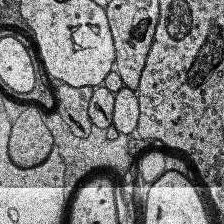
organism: Human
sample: Temporal Lobe